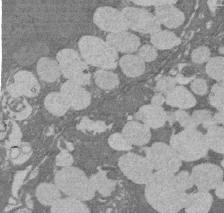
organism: Rat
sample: Salivary granule